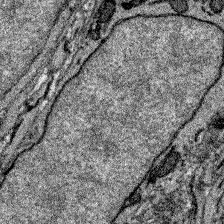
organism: Zebrafish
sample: Larval olfactory bulb